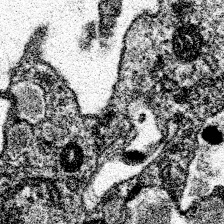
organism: Spongilla lacustris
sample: Neuroid cell